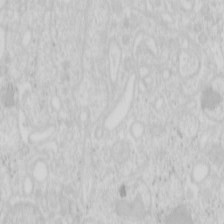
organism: Mouse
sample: Pancreas